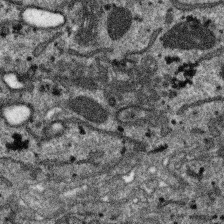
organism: Human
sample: Lung epithelial cells infected with SARS-CoV-2